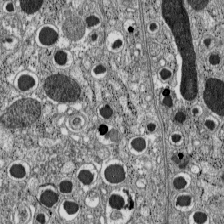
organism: C57BL Mouse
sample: Pancreatic islet